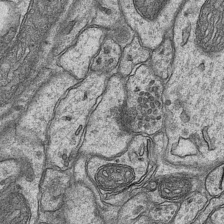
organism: Mouse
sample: CA1 Hippocampus